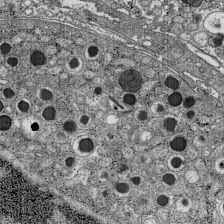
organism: C57BL Mouse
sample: Pancreatic islet